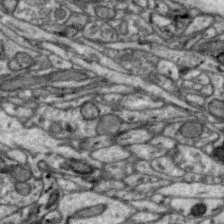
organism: Zebra finch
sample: Brain